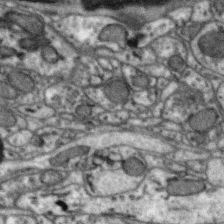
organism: Zebra finch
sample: Brain